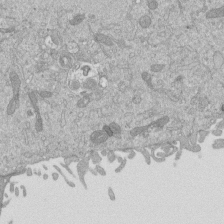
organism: Mouse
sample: ED-1 cell nuclei; centrioles